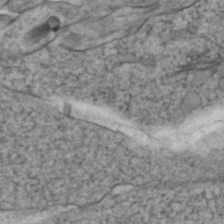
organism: Zebrafish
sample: Zebrafish embryo